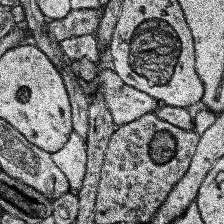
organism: Human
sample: Temporal Lobe